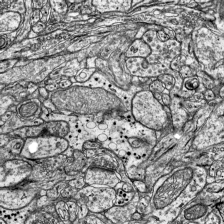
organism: Mouse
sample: Visual Cortex